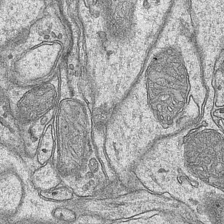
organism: Mouse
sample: CA1 Hippocampus